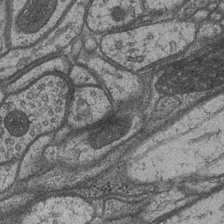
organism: Drosophila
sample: Optic medulla